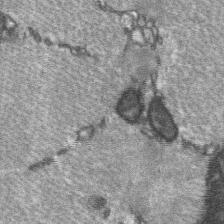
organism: C57BL Mouse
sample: Soleus